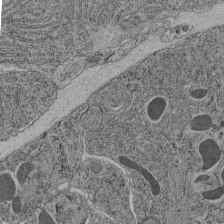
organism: C. elegans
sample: C. elegans pharynx